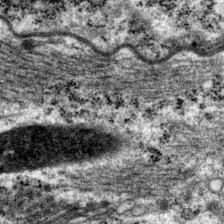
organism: P. pacificus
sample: Pharynx